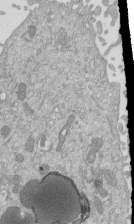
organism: Mouse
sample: ED-1 cell nuclei; centrioles